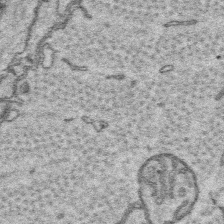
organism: Platynereis dumerilii